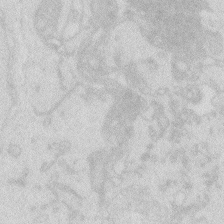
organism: Zebrafish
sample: Macrophage